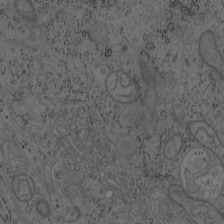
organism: Mouse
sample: OT-I killer T cells with ID8 ovarian cancer cells